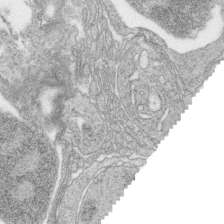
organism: Zebrafish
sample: synaptic ribbons in rod cells and cone cells